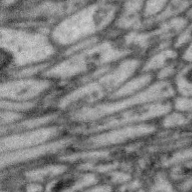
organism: Zebra finch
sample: Brain